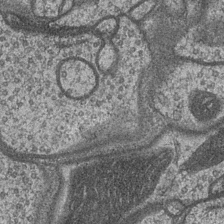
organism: Drosophila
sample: Optic medulla